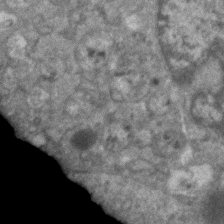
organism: Human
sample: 1205lu cells